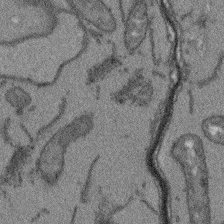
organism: Arabidopsis thaliana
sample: Root tip